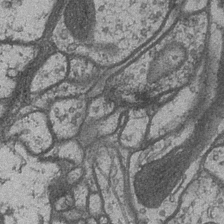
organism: Drosophila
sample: Optic medulla